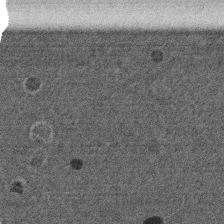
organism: Mouse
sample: Dividing mouse embryo 1 cell stage